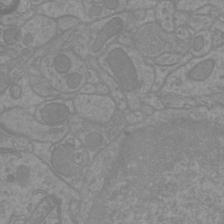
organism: Mouse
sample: Cortical neurons